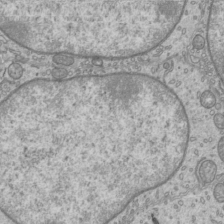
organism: Mouse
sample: Cilia; mouse epididymis